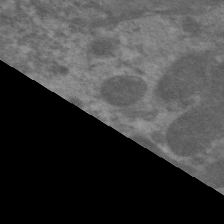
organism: C. elegans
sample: Pharynx